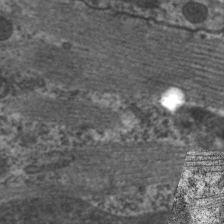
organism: C. elegans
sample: Pharynx